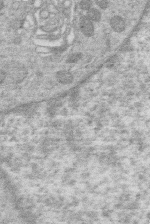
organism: Human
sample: Macrophage cells